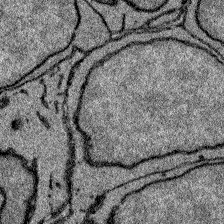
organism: Zebrafish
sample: Larval olfactory bulb